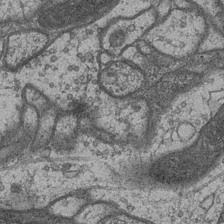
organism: Drosophila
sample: Optic medulla